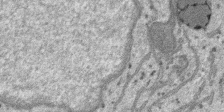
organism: Human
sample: Lung epithelial cells infected with SARS-CoV-2